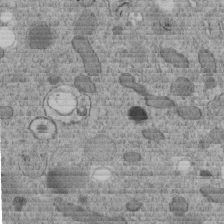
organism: C. elegans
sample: C. elegans embryo early stage